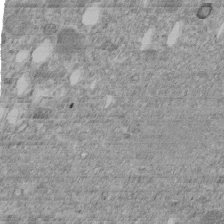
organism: C. elegans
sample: C. elegans embryo early stage